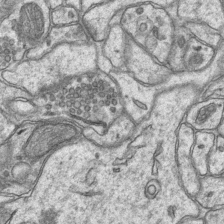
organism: Mouse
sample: CA1 Hippocampus